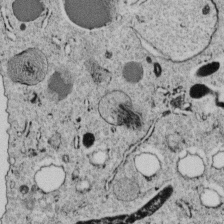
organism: C. elegans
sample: C. elegans embryo early stage